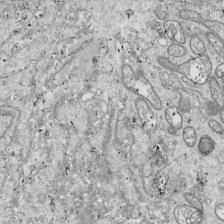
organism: Drosophila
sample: Cell division; meiosis; drosophila spermatocytes